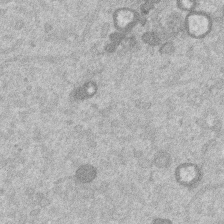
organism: Mouse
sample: Dividing mouse embryo 1 cell stage